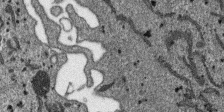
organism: Human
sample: Lung epithelial cells infected with SARS-CoV-2